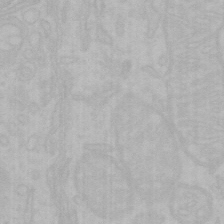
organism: Mouse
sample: Choroid plexus